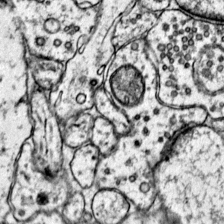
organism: Mouse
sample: Primary visual cortex